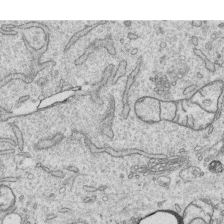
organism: Human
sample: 1205lu cells